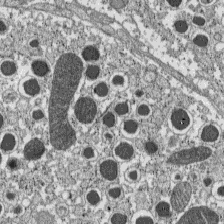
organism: C57BL Mouse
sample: Pancreatic islet